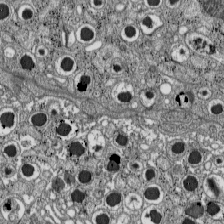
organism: C57BL Mouse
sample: Pancreatic islet